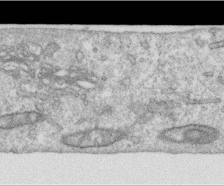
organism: Human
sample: Centriole in RPE cells